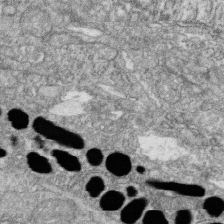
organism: Zebrafish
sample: Cilia; retinal pigment epithelium